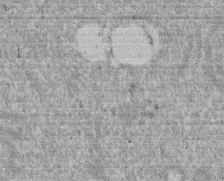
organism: Mouse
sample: Dividing mouse embryo 1 cell stage